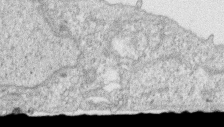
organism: Human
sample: HeLa cell HIV synapse